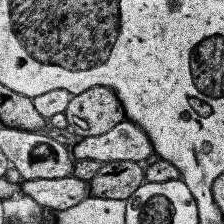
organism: Human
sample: Temporal Lobe